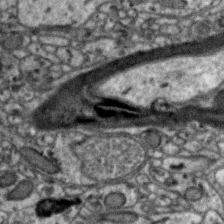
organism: Zebra finch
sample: Brain